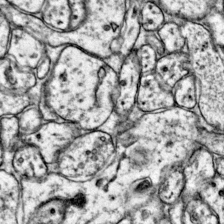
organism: Mouse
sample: Primary visual cortex